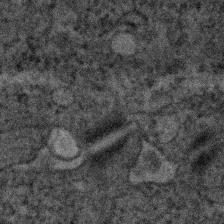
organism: Human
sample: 1205lu cells